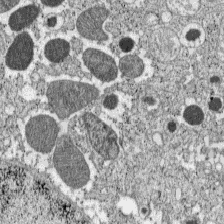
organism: C57BL Mouse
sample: Pancreatic islet